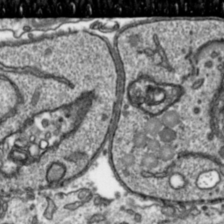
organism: Toxoplasma gondii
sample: Parasites in a vacuole inside a host cell